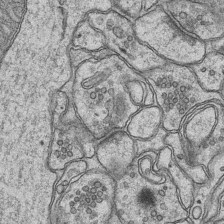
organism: Mouse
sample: CA1 Hippocampus